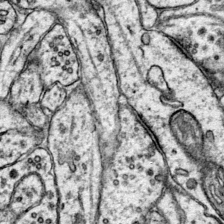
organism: Mouse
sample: Primary visual cortex